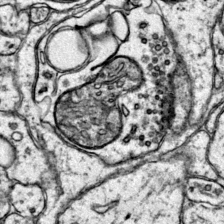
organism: Mouse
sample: Primary visual cortex